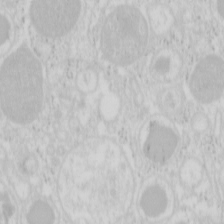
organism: Mouse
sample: Pancreas